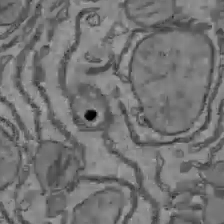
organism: C57BL Mouse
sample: Liver